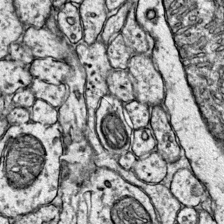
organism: Mouse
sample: Primary visual cortex